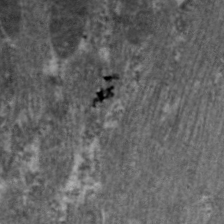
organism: C. elegans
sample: Pharynx